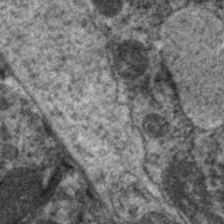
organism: C. elegans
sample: Pharynx